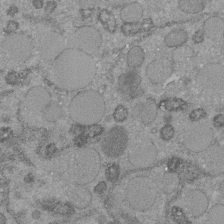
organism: C. elegans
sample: C. elegans embryo early stage